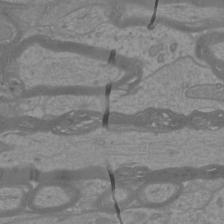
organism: Mouse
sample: Cortical neurons